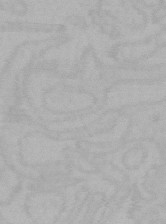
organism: Mouse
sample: Choroid plexus